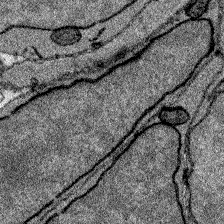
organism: Zebrafish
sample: Larval olfactory bulb